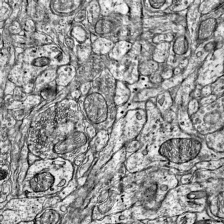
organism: Mouse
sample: Visual Cortex